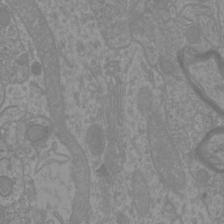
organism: Mouse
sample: Cortical neurons